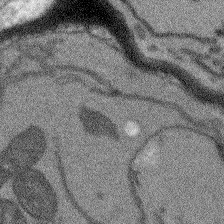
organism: Arabidopsis thaliana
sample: Root tip